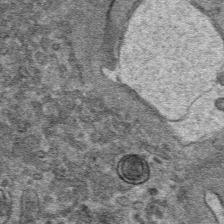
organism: Mouse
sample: Mouse hepatocytes